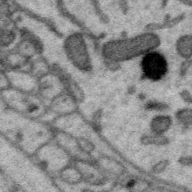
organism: Zebra finch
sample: Brain